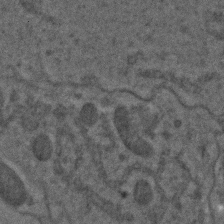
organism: C. elegans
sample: C. elegans embryo